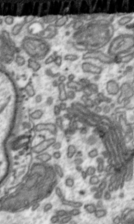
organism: Toxoplasma gondii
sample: Parasites in a vacuole inside a host cell